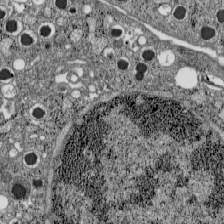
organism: C57BL Mouse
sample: Pancreatic islet